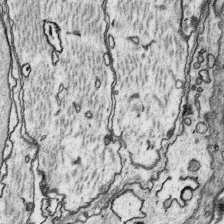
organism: Platynereis dumerilii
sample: Parapodia